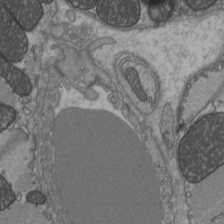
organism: C57BL Mouse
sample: Heart